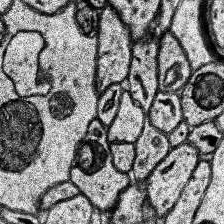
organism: Human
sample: Temporal Lobe